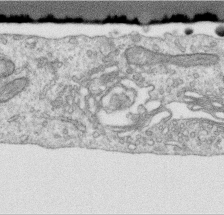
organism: Human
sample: Centriole in RPE cells